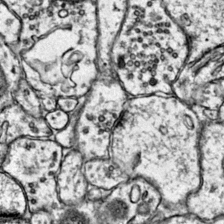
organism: Mouse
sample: Primary visual cortex